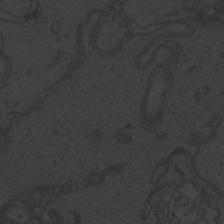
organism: Zebrafish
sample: Macrophage infected with Toxoplasma gondii